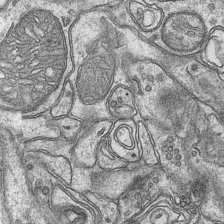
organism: Mouse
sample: CA1 Hippocampus